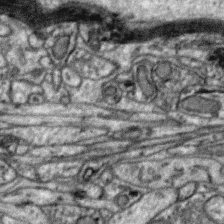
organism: Zebra finch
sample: Brain